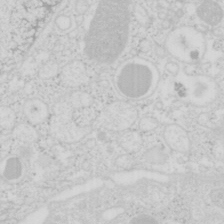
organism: Mouse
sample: Pancreas